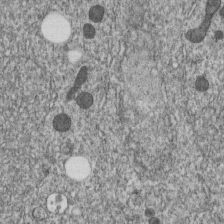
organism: C. elegans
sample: C. elegans embryo early stage